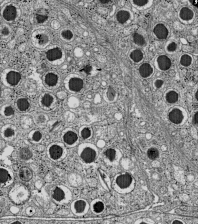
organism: C57BL Mouse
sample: Pancreatic islet